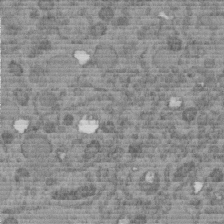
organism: C. elegans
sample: C. elegans embryo early stage